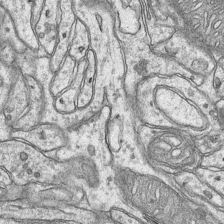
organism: Mouse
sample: CA1 Hippocampus